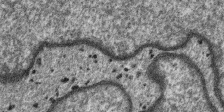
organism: Human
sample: Lung epithelial cells infected with SARS-CoV-2